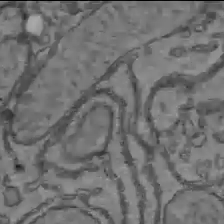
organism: C57BL Mouse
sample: Liver